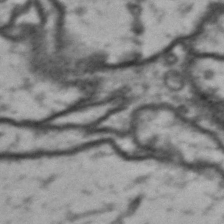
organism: Drosophila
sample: Brain